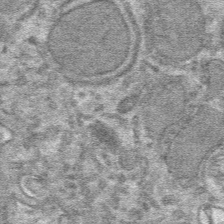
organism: Mouse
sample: Mouse hepatocytes